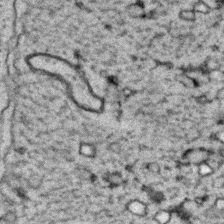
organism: C. elegans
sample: C. elegans embryo